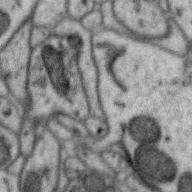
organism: Zebra finch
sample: Brain